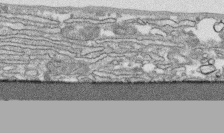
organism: Human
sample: CRL-1474